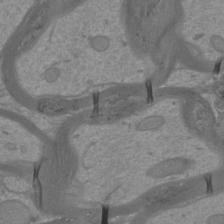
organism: Mouse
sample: Cortical neurons